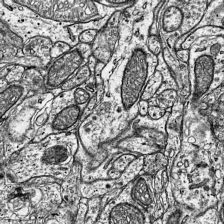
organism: Mouse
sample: Visual Cortex